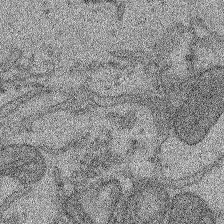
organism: Human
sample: HeLa cells